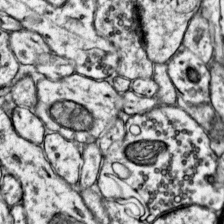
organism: Mouse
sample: Primary visual cortex